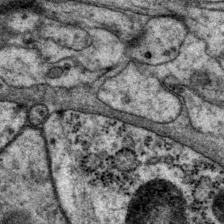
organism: P. pacificus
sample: Pharynx